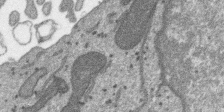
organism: Human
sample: Lung epithelial cells infected with SARS-CoV-2